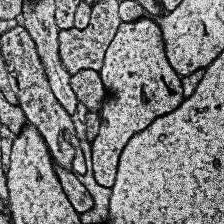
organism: Human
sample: Temporal Lobe